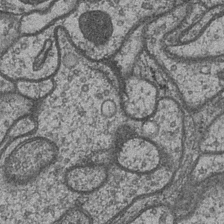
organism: Drosophila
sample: Optic medulla